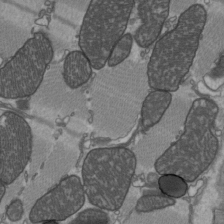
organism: C57BL Mouse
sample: Heart